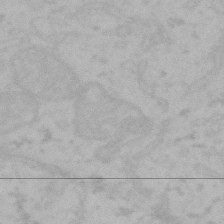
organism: Mouse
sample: Choroid plexus